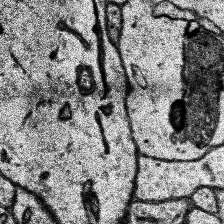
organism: Human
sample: Temporal Lobe